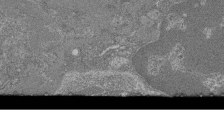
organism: Mouse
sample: Glomerulus